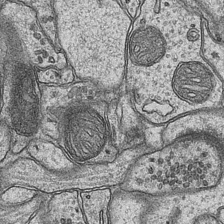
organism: Mouse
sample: CA1 Hippocampus